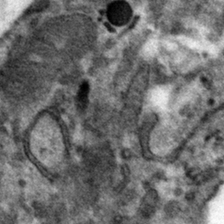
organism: Mouse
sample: Mouse hepatocytes